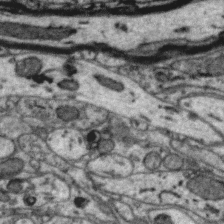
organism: Zebra finch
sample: Brain